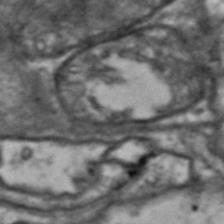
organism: Drosophila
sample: Brain